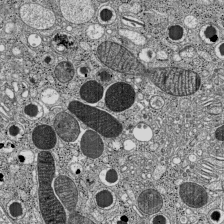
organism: C57BL Mouse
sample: Pancreatic islet